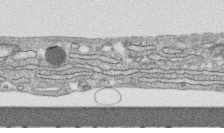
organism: Human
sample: CRL-1474